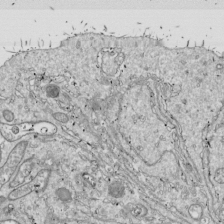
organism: Drosophila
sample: Cell division; meiosis; drosophila spermatocytes